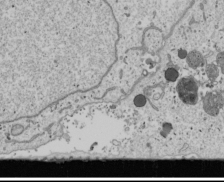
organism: Human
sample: Mitochondria in U2OS cells